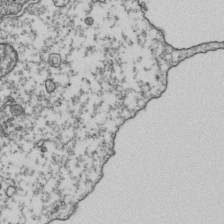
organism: Human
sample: Activated Jurkat CD4+ T cells